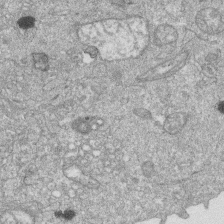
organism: Human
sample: HeLa cell HIV synapse